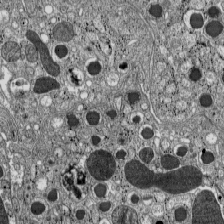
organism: C57BL Mouse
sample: Pancreatic islet